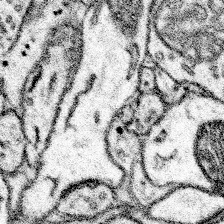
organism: Mouse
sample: Somatosensory cortex neuropil